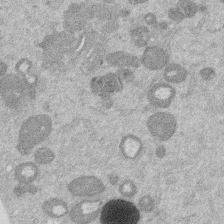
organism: Mouse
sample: Dividing mouse embryo 1 cell stage